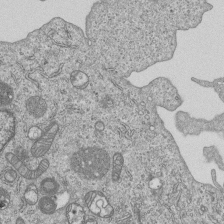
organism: Human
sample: MDA-MB-231 cells